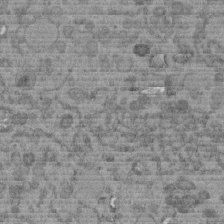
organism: C. elegans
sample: C. elegans embryo early stage